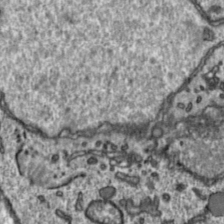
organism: Toxoplasma gondii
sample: Parasites in a vacuole inside a host cell